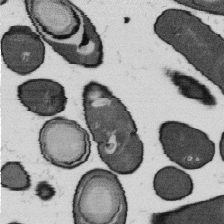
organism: B. subtilis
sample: Bacterial spore